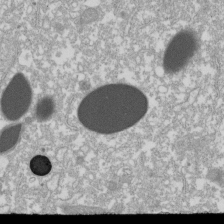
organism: Xenopus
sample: Cilia; centrioles in frog embryo cells